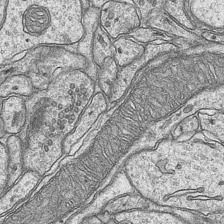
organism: Mouse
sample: CA1 Hippocampus